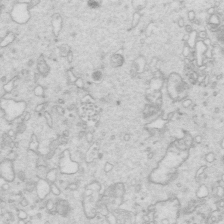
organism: Mouse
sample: Multiciliated cells